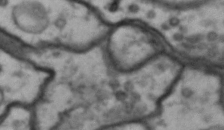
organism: Drosophila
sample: Brain